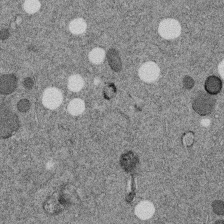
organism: C. elegans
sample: C. elegans embryo early stage